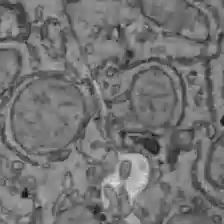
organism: C57BL Mouse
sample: Liver